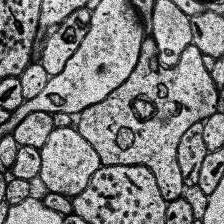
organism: Human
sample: Temporal Lobe